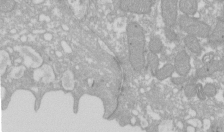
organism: Xenopus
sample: Cilia; centrioles in frog embryo cells